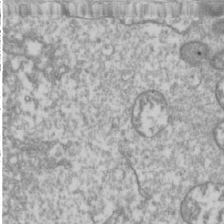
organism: Drosophila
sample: Cell division; meiosis; drosophila spermatocytes